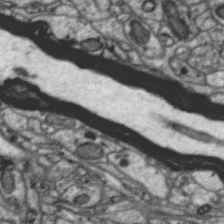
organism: Zebra finch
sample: Brain